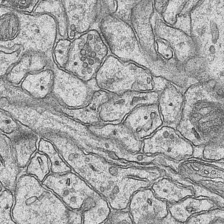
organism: Mouse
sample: CA1 Hippocampus